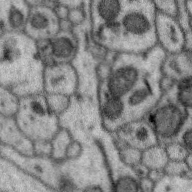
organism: Zebra finch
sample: Brain